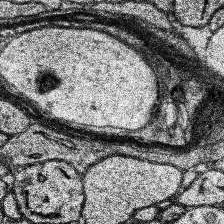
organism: Human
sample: Temporal Lobe